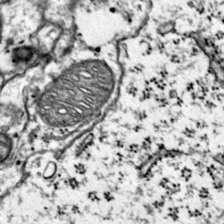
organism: Mouse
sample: Primary visual cortex